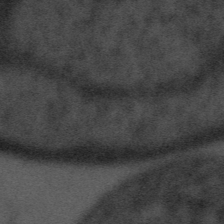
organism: Tuwongella immobilis